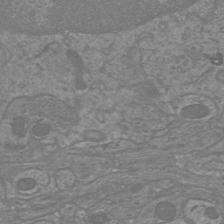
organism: Mouse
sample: Cortical neurons